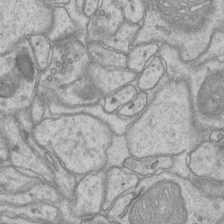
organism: Mouse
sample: CA1 Hippocampus